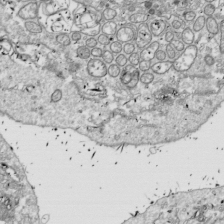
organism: Drosophila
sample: Cell division; meiosis; drosophila spermatocytes